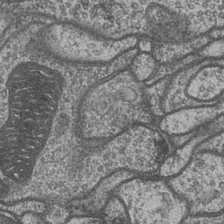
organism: Drosophila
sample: Optic medulla